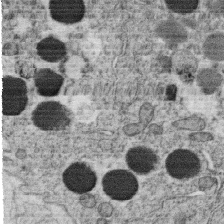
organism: C. elegans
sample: C. elegans oocyte; sperm cells